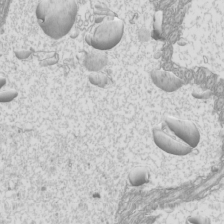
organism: Mouse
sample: Cilia; mouse epididymis